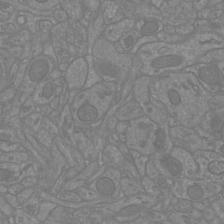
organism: Mouse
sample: Cortical neurons